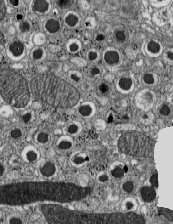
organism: C57BL Mouse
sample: Pancreatic islet